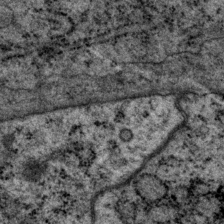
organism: P. pacificus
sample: Pharynx